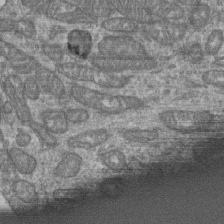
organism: Human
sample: Retinal organoid Rod and Cone cells